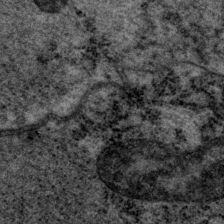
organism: P. pacificus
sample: Pharynx